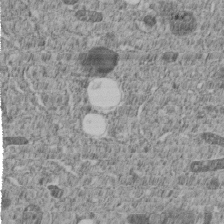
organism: C. elegans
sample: C. elegans embryo early stage